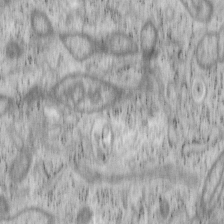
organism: Human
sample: HeLa cells